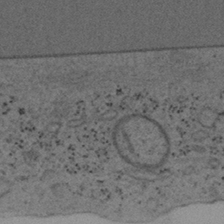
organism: Human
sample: HeLa cells